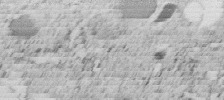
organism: C. elegans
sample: C. elegans embryo early stage